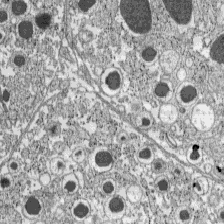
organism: C57BL Mouse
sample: Pancreatic islet